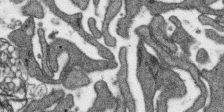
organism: Human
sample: Lung epithelial cells, uninfected (mock) control